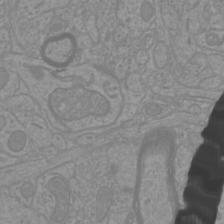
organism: Mouse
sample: Cortical neurons